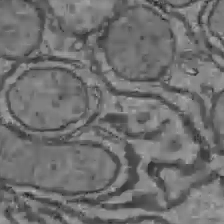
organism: C57BL Mouse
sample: Liver